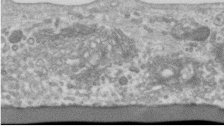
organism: Human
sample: Centriole in RPE cells